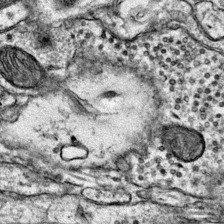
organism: Mouse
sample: Primary visual cortex